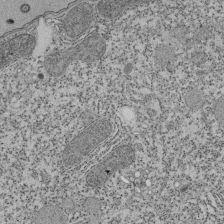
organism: Tetrahymena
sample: Cilia in tetrahymena